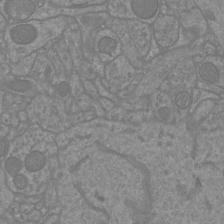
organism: Mouse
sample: Cortical neurons